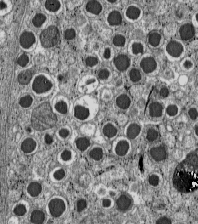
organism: C57BL Mouse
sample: Pancreatic islet